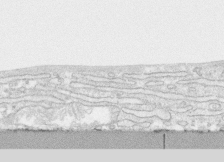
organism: Human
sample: CRL-1474